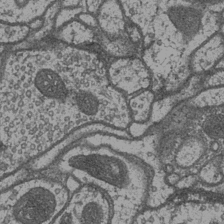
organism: Drosophila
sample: Optic medulla